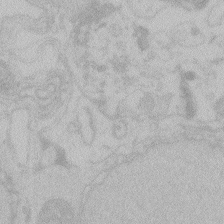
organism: Zebrafish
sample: Macrophage infected with Toxoplasma gondii